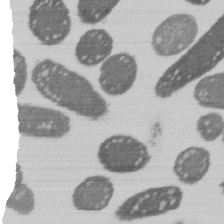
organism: E. coli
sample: Bacterial nucleoid